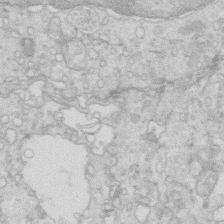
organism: Mouse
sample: Multiciliated cells